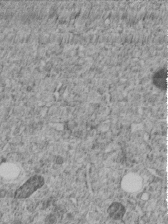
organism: C. elegans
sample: C. elegans embryo early stage